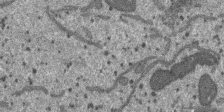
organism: Human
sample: Lung epithelial cells infected with SARS-CoV-2